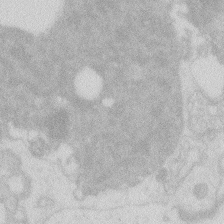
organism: Zebrafish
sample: Macrophage